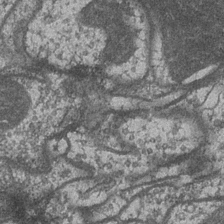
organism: Drosophila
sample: Optic medulla